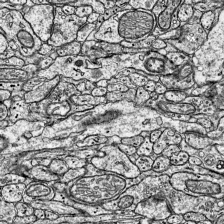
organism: Mouse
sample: Visual Cortex